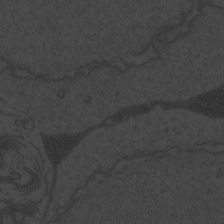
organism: Zebrafish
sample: Macrophage infected with Toxoplasma gondii